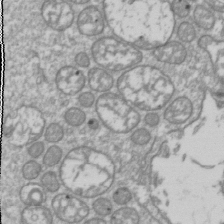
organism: Drosophila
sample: Cell division; meiosis; drosophila spermatocytes